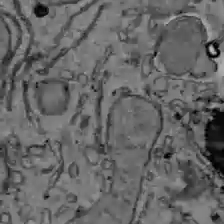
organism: C57BL Mouse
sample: Liver